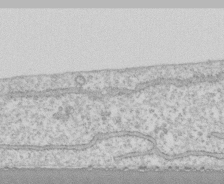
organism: Human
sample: CRL-1474